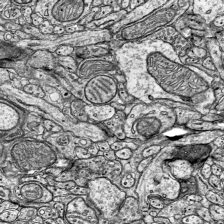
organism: Mouse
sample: Visual Cortex